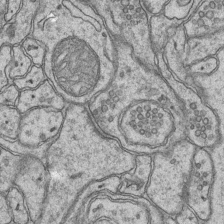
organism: Mouse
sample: CA1 Hippocampus